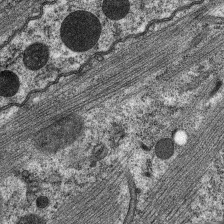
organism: C. elegans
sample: Pharynx